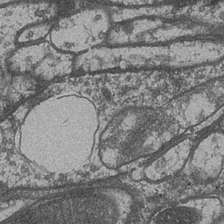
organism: Drosophila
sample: Optic medulla